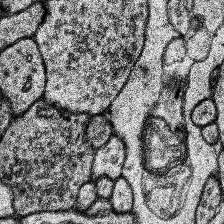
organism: Human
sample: Temporal Lobe